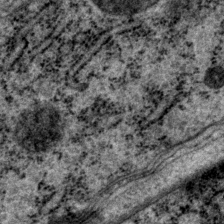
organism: P. pacificus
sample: Pharynx